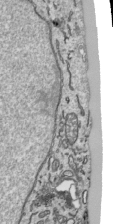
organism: Human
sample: Mitochondria in HCT116 cells